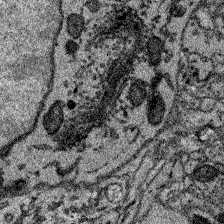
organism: Zebrafish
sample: Larval olfactory bulb